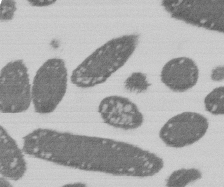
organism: E. coli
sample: Bacterial nucleoid